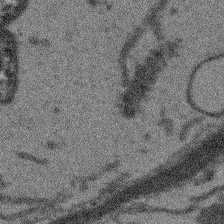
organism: Arabidopsis thaliana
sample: Root tip